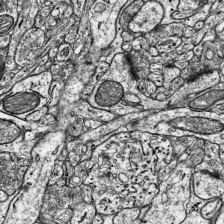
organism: Mouse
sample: Visual Cortex